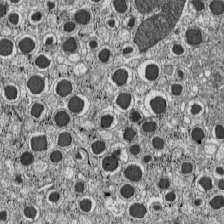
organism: C57BL Mouse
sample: Pancreatic islet